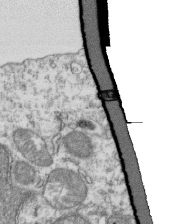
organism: Mouse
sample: Activated OT-1 CD8+ T cells